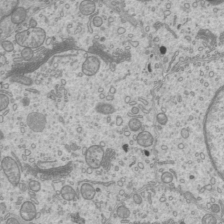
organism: Mouse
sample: Cilia; mouse epididymis